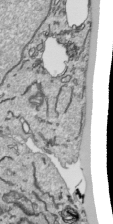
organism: Human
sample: Mitochondria in HCT116 cells